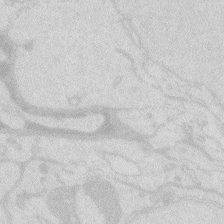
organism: Zebrafish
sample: Macrophage